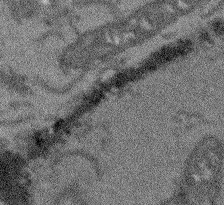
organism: Arabidopsis thaliana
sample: Root tip